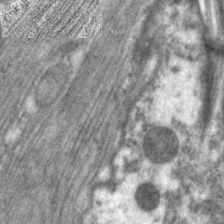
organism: C. elegans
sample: Pharynx